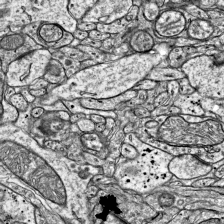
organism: Mouse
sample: Visual Cortex